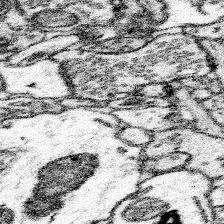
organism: Mouse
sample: Somatosensory cortex neuropil